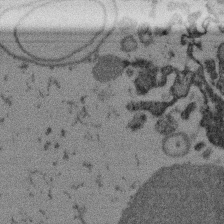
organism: Mouse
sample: Dividing mouse embryo 1 cell stage